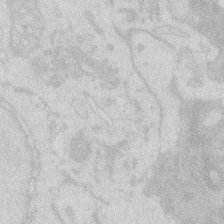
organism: Zebrafish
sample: Macrophage